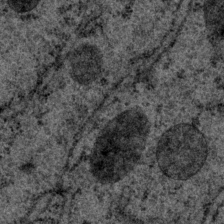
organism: P. pacificus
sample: Pharynx